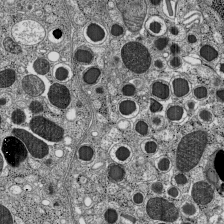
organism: C57BL Mouse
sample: Pancreatic islet